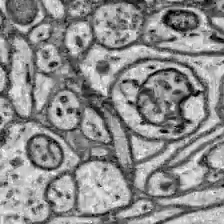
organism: Zebrafish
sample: Brain